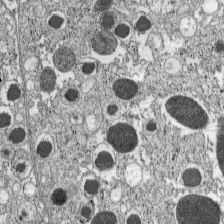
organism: C57BL Mouse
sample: Pancreatic islet